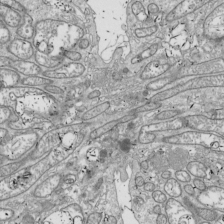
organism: Drosophila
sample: Cell division; meiosis; drosophila spermatocytes